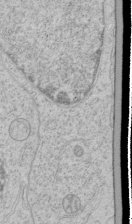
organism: Human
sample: Mitochondria in HCT116 cells